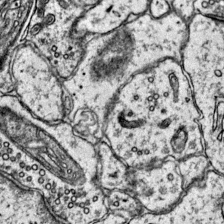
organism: Mouse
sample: Primary visual cortex